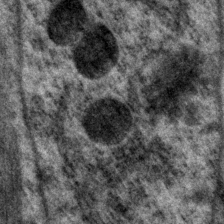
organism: P. pacificus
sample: Pharynx